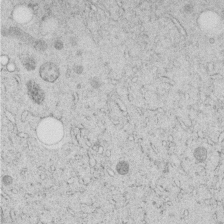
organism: C. elegans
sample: C. elegans embryo early stage